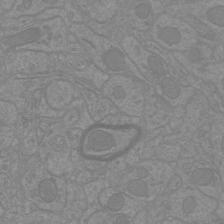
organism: Mouse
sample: Cortical neurons